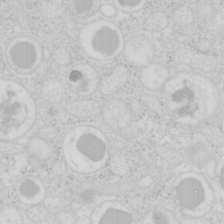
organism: Mouse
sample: Pancreas